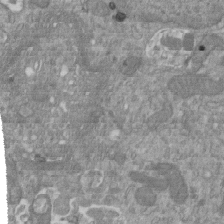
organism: Mouse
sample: ED-1 cell nuclei; centrioles